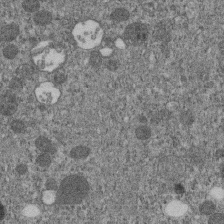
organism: C. elegans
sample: C. elegans embryo early stage